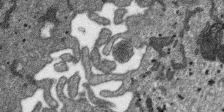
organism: Human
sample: Lung epithelial cells infected with SARS-CoV-2